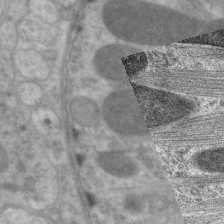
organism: C. elegans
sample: Pharynx